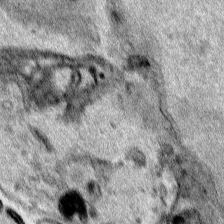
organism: Human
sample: Mitochondria in HCT116 cells